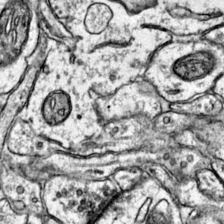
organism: Mouse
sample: Primary visual cortex